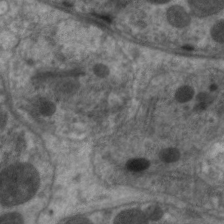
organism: C. elegans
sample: Pharynx